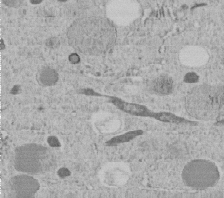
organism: C. elegans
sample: C. elegans embryo early stage